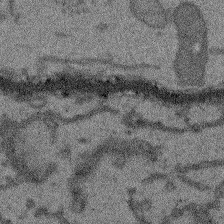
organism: Arabidopsis thaliana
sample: Root tip